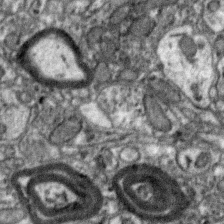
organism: Zebra finch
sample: Brain